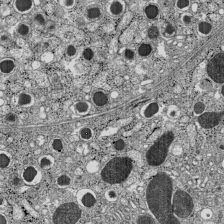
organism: C57BL Mouse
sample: Pancreatic islet